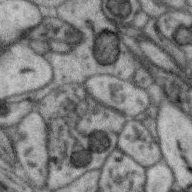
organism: Zebra finch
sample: Brain